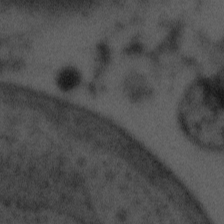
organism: Tuwongella immobilis